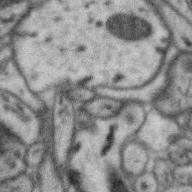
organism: Zebra finch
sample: Brain